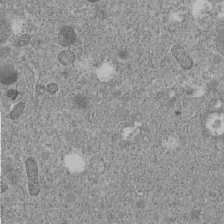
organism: C. elegans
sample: C. elegans embryo early stage